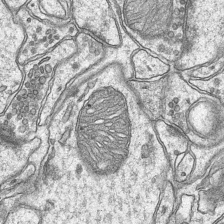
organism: Mouse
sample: CA1 Hippocampus